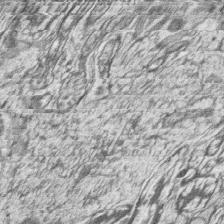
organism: Zebrafish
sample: synaptic ribbons in rod cells and cone cells